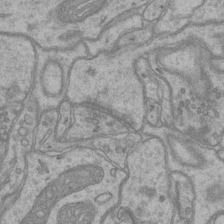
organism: Mouse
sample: CA1 Hippocampus